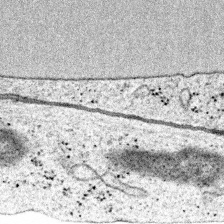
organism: Human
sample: HeLa cells